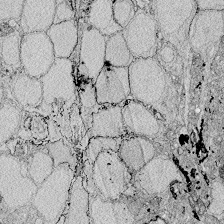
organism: Zebrafish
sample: Whole-Brain